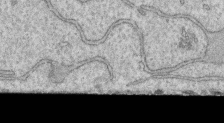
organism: Human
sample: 1205lu cells